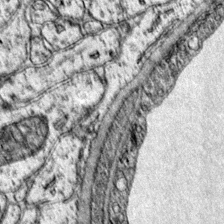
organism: Mouse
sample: Primary visual cortex